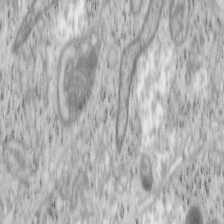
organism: Human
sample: HeLa cells